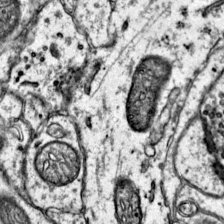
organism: Mouse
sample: Primary visual cortex